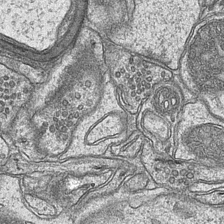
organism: Mouse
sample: CA1 Hippocampus